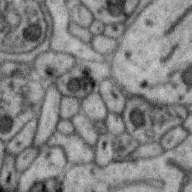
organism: Zebra finch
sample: Brain